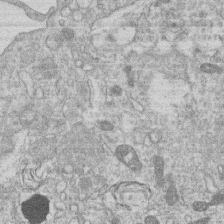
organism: Human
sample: Macrophage cells